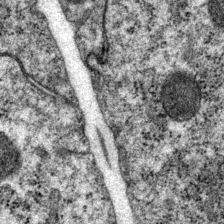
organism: P. pacificus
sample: Pharynx